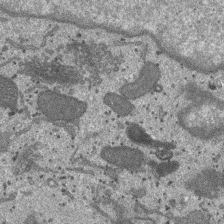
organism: Human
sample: Lung epithelial cells infected with SARS-CoV-2